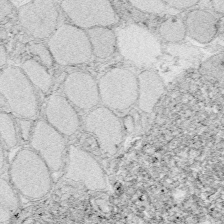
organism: Zebrafish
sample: Whole-Brain